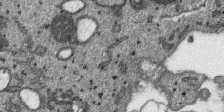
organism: Human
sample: Lung epithelial cells infected with SARS-CoV-2